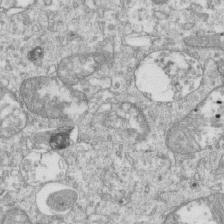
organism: Mouse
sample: Activated OT-1 CD8+ T cells